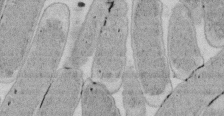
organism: E. coli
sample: Bacterial nucleoid